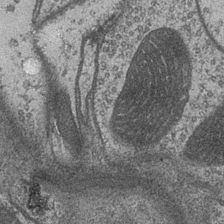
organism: Drosophila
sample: Optic medulla